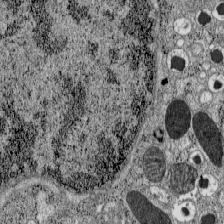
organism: C57BL Mouse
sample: Pancreatic islet